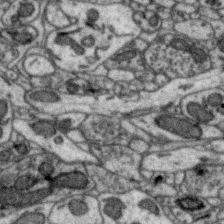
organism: Zebra finch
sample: Brain